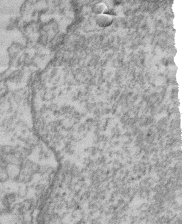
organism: Mouse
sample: T cell stromal cell synapse